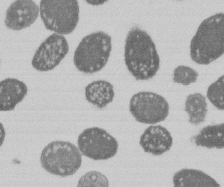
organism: E. coli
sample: Bacterial nucleoid